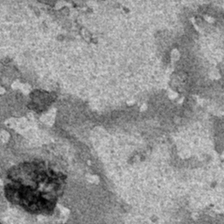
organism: Human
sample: Mitochondria in HCT116 cells